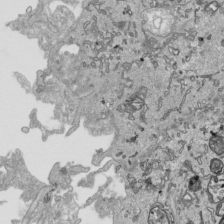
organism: Human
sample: Mitochondria in HCT116 cells